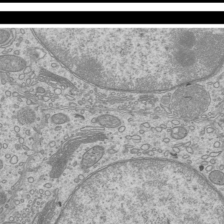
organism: Mouse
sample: Cilia; mouse epididymis